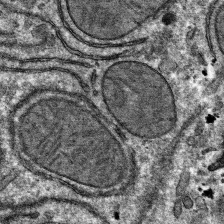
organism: Mouse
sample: Mouse hepatocytes